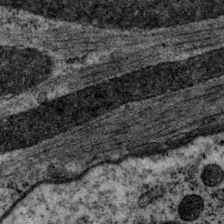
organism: P. pacificus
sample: Pharynx